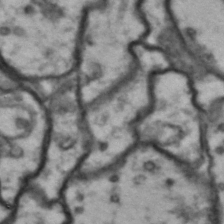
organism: Drosophila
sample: Brain